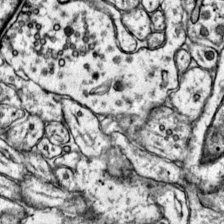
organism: Mouse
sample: Primary visual cortex